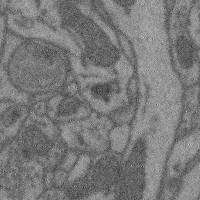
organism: Mouse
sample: Cerebral cortex